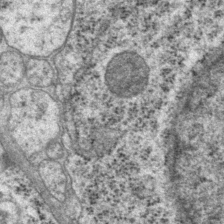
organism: P. pacificus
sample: Pharynx